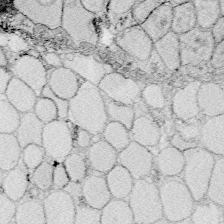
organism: Zebrafish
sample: Whole-Brain